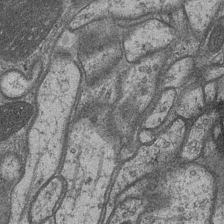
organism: Drosophila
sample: Optic medulla